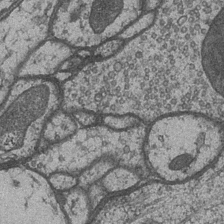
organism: Drosophila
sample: Optic medulla